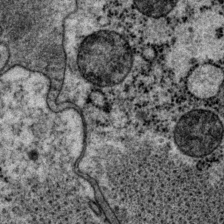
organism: P. pacificus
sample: Pharynx